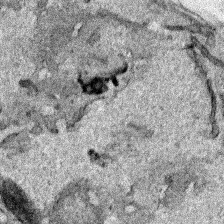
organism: Human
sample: Mitochondria in HCT116 cells